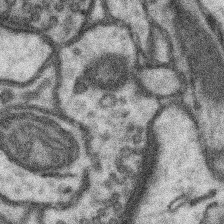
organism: Mouse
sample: Somatosensory cortex neuropil